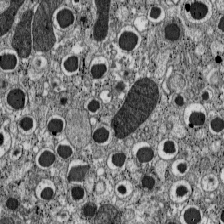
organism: C57BL Mouse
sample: Pancreatic islet